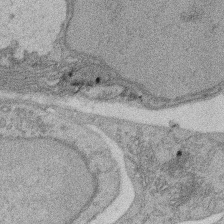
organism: Rat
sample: Salivary granule